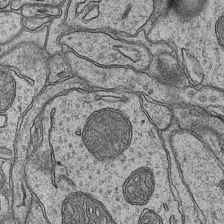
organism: Mouse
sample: CA1 Hippocampus